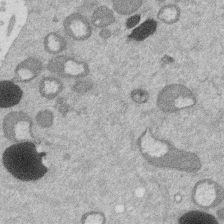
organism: Mouse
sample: Dividing mouse embryo 1 cell stage